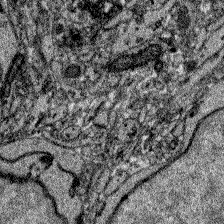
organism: Zebrafish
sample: Larval olfactory bulb